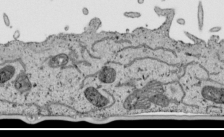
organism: Human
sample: Mitochondria in HCT116 cells